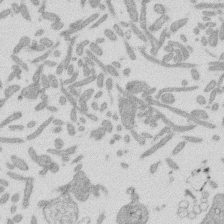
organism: Mouse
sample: Dividing mouse embryo 1 cell stage